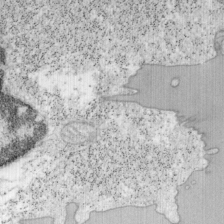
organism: Mouse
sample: OT-I killer T cells with ID8 ovarian cancer cells